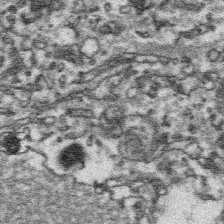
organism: Platynereis dumerilii